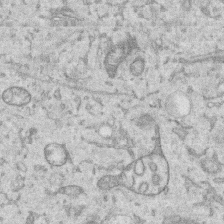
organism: Human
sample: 1205lu cells